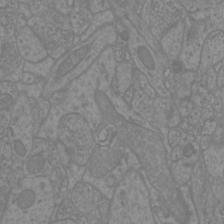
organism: Mouse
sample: Cortical neurons